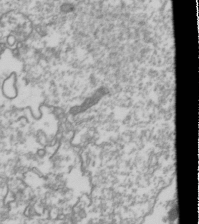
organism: Drosophila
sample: Cell division; meiosis; drosophila spermatocytes